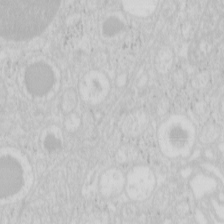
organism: Mouse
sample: Pancreas